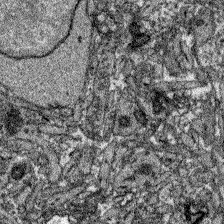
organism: Zebrafish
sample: Larval olfactory bulb